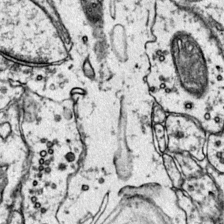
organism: Mouse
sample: Primary visual cortex